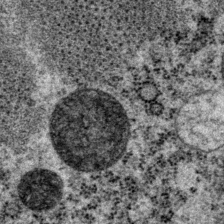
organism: P. pacificus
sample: Pharynx